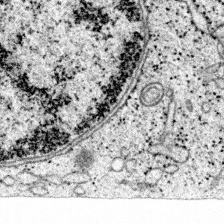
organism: Human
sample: HeLa cells